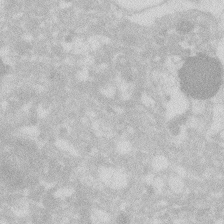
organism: Zebrafish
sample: Macrophage